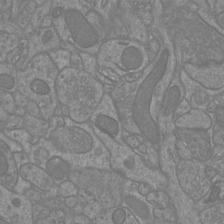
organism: Mouse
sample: Cortical neurons